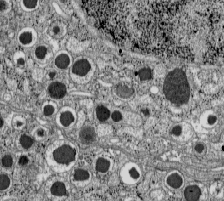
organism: C57BL Mouse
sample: Pancreatic islet